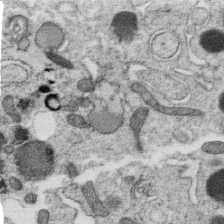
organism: C. elegans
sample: C. elegans oocyte; sperm cells